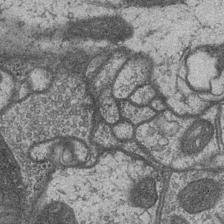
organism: Drosophila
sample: Optic medulla